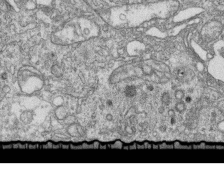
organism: Human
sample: HeLa cell HIV synapse